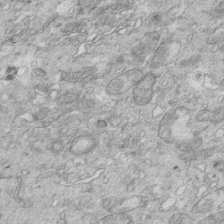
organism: Mouse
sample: Multiciliated cells